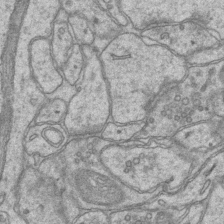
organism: Mouse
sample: CA1 Hippocampus